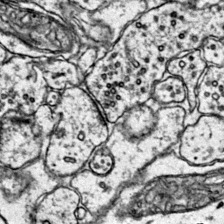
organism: Mouse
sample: Primary visual cortex